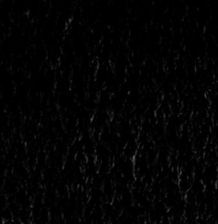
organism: Toxoplasma gondii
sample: Parasites in a vacuole inside a host cell